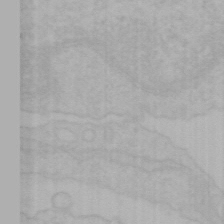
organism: Mouse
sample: Choroid plexus